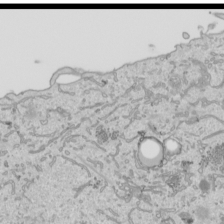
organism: Human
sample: Mitochondria in HCT116 cells